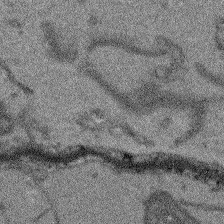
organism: Arabidopsis thaliana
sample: Root tip